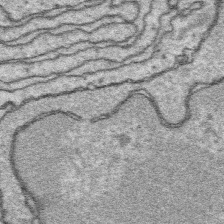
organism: Platynereis dumerilii